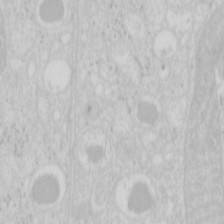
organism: Mouse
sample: Pancreas